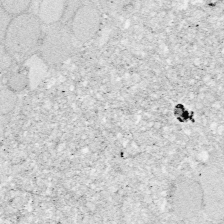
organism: Zebrafish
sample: Whole-Brain